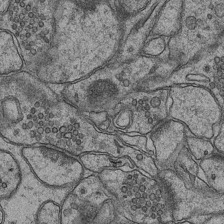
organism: Mouse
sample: CA1 Hippocampus